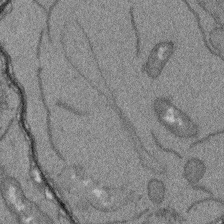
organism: Arabidopsis thaliana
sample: Root tip